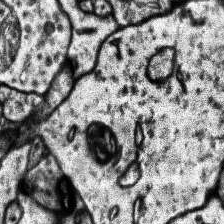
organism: Human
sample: Temporal Lobe